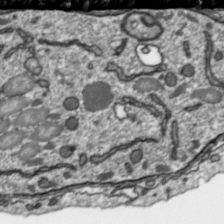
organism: Toxoplasma gondii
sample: Parasites in a vacuole inside a host cell